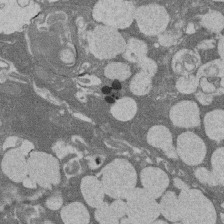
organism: Rat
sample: Salivary granule